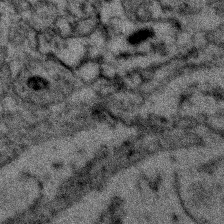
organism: Zebrafish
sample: Zebrafish embryo